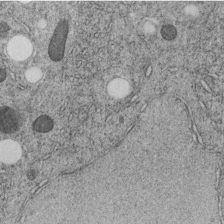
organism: C. elegans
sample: C. elegans embryo early stage